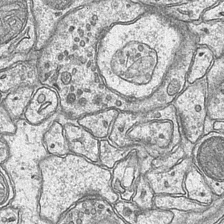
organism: Mouse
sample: CA1 Hippocampus